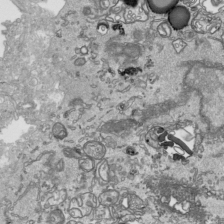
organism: Human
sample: Mitochondria in HCT116 cells